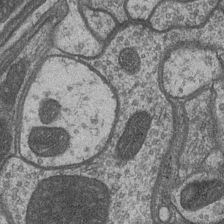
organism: Drosophila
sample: Optic medulla